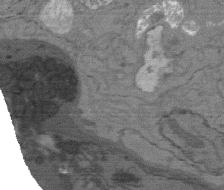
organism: C. elegans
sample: AFD neurons C. elegans